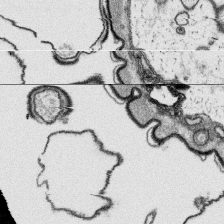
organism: Platynereis dumerilii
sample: Parapodia